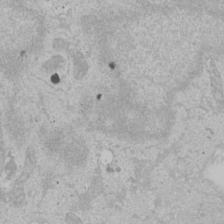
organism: Human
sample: Mitochondria in U2OS cells